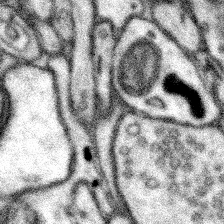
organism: Mouse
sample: Somatosensory cortex neuropil